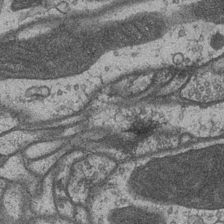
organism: Drosophila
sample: Optic medulla